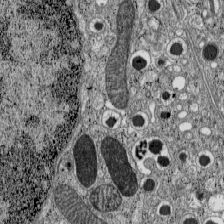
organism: C57BL Mouse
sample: Pancreatic islet